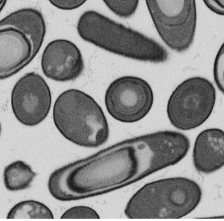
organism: B. subtilis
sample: Bacterial spore